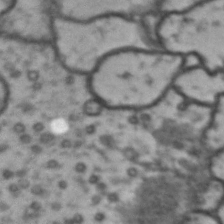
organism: Drosophila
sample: Brain